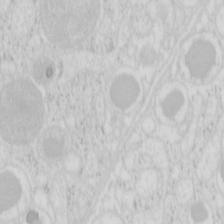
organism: Mouse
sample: Pancreas